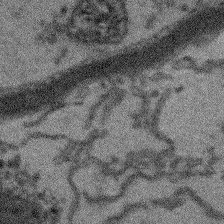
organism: Arabidopsis thaliana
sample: Root tip